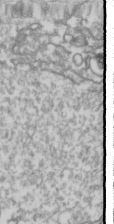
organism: Drosophila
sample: Cell division; meiosis; drosophila spermatocytes